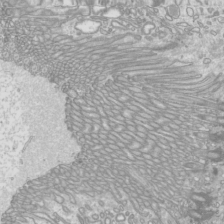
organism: Mouse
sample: Cilia; mouse epididymis